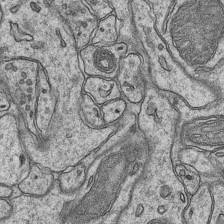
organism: Mouse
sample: CA1 Hippocampus